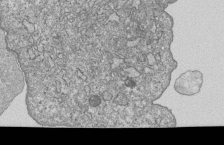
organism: Human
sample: MDA-MB-231 cells